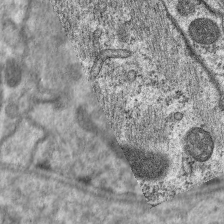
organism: C. elegans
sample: Pharynx